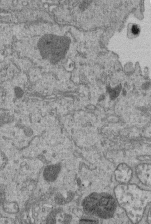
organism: Human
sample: Retinal organoid Rod and Cone cells